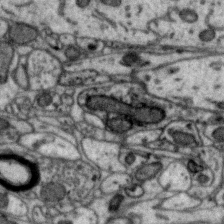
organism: Zebra finch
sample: Brain